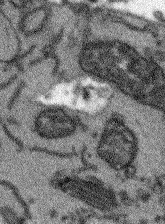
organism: Arabidopsis thaliana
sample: Root tip